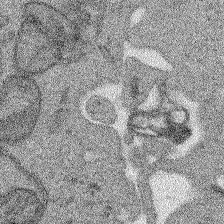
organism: Human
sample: HeLa cells